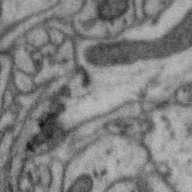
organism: Zebra finch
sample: Brain